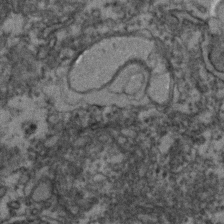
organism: Zebrafish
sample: Zebrafish embryo